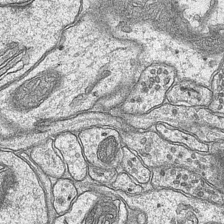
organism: Mouse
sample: CA1 Hippocampus